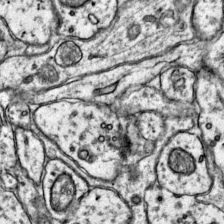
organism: Mouse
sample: Primary visual cortex